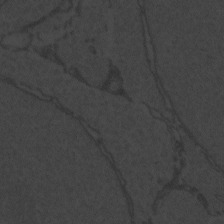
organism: Zebrafish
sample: Macrophage infected with Toxoplasma gondii